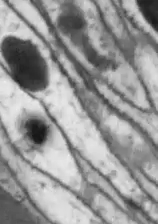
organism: Drosophila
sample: Optic lobe